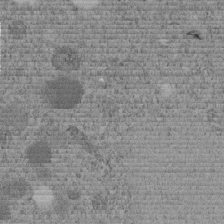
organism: C. elegans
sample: C. elegans embryo early stage